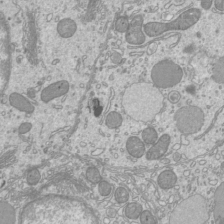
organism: Mouse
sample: Cilia; mouse epididymis